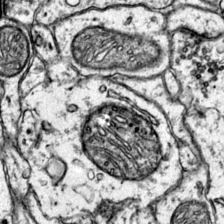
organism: Mouse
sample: Primary visual cortex